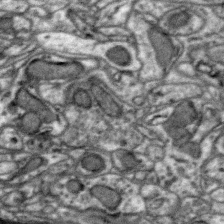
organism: Zebra finch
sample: Brain